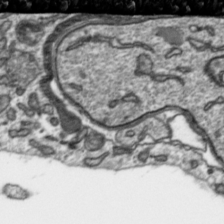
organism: Toxoplasma gondii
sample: Parasites in a vacuole inside a host cell